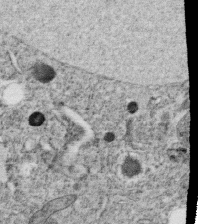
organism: C. elegans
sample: C. elegans oocyte; sperm cells